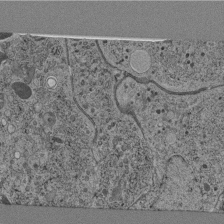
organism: C. elegans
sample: C. elegans pharynx